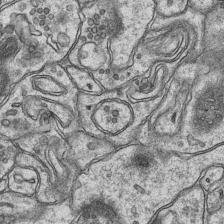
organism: Mouse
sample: CA1 Hippocampus